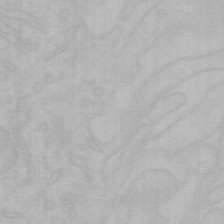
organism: Mouse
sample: Choroid plexus